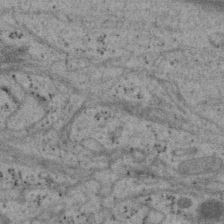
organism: Human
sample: HeLa cells